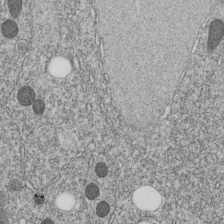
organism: C. elegans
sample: C. elegans embryo early stage